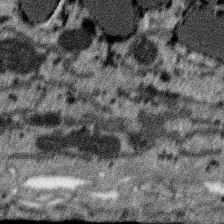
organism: Human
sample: Lung epithelial cells infected with SARS-CoV-2